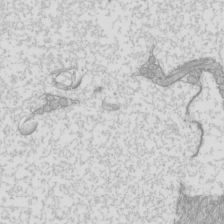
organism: Mouse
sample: Cilia; mouse epididymis